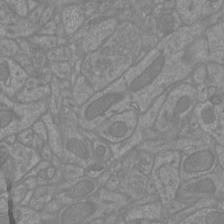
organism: Mouse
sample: Cortical neurons